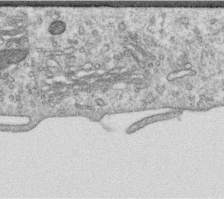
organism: Human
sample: Centriole in RPE cells